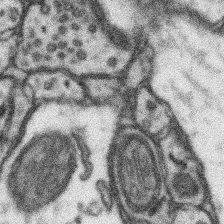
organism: Mouse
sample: Somatosensory cortex neuropil